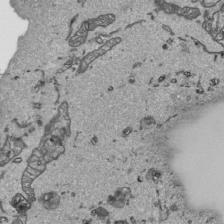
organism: Human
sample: Mitochondria in HCT116 cells